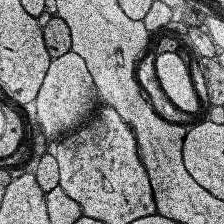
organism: Human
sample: Temporal Lobe